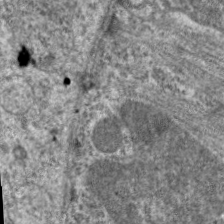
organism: C. elegans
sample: Pharynx